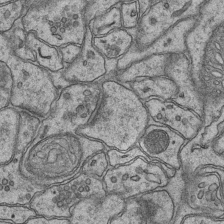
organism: Mouse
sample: CA1 Hippocampus